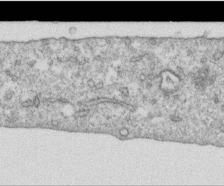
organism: Human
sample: Centriole in RPE cells